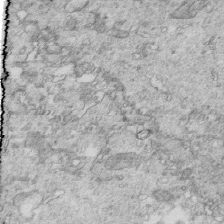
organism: Mouse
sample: Multiciliated cells